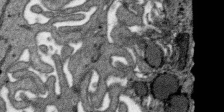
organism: Human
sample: Lung epithelial cells, uninfected (mock) control